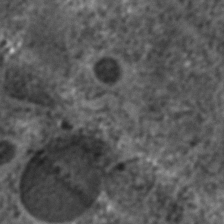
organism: C. elegans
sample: C. elegans embryo